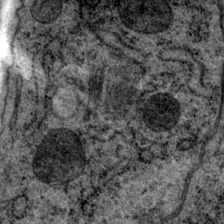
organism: P. pacificus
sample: Pharynx